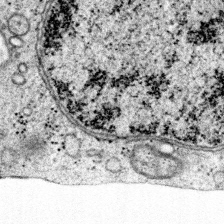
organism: Human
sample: HeLa cells